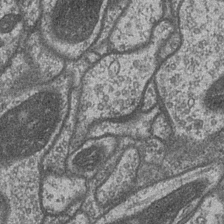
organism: Drosophila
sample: Optic medulla